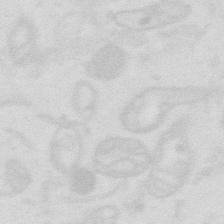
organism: Human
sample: HeLa cells